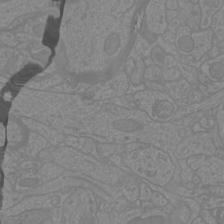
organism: Mouse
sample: Cortical neurons